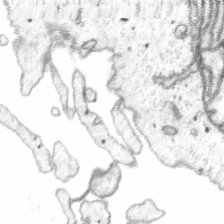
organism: Human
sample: HeLa cells